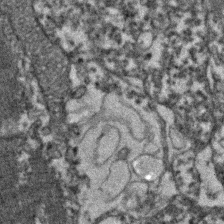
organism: Zebrafish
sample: Zebrafish embryo